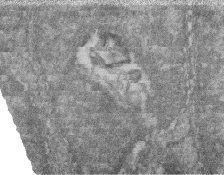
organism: Zebrafish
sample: Cilia; retinal pigment epithelium